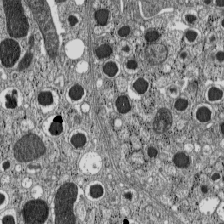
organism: C57BL Mouse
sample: Pancreatic islet